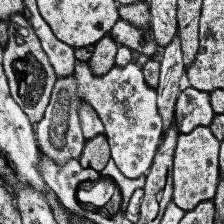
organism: Human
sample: Temporal Lobe